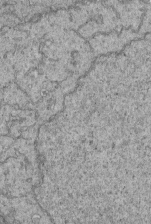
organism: Human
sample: Retinal organoid Rod and Cone cells